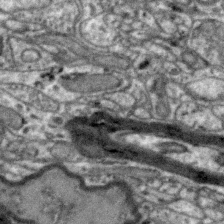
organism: Zebra finch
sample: Brain